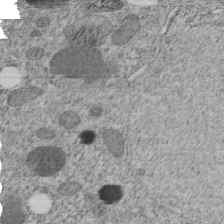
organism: C. elegans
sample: C. elegans embryo early stage